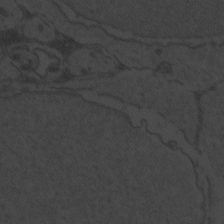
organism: Zebrafish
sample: Macrophage infected with Toxoplasma gondii